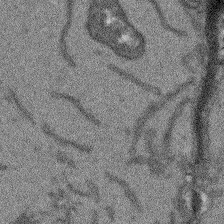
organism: Arabidopsis thaliana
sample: Root tip